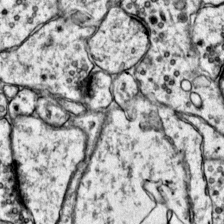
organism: Mouse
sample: Primary visual cortex